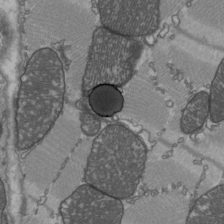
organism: C57BL Mouse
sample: Heart